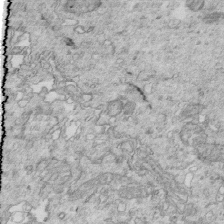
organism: Mouse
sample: Multiciliated cells